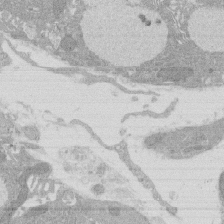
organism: Rat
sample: Salivary granule